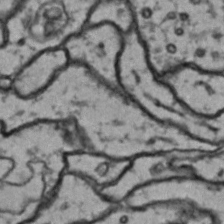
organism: Drosophila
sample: Brain